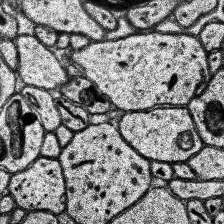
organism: Human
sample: Temporal Lobe